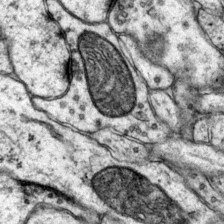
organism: Mouse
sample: Primary visual cortex